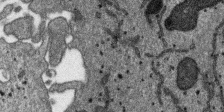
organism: Human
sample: Lung epithelial cells infected with SARS-CoV-2